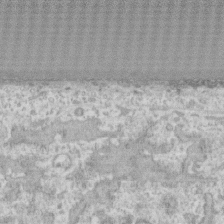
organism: Human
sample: CRL-1474